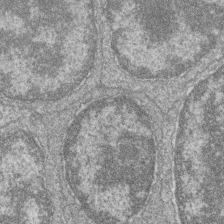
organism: Zebrafish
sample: Cilia; retinal pigment epithelium